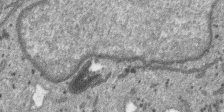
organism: Human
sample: Lung epithelial cells infected with SARS-CoV-2